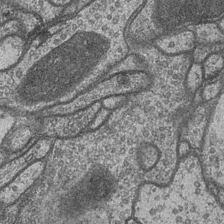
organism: Drosophila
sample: Optic medulla